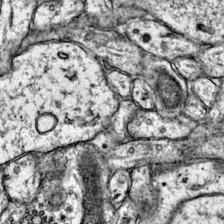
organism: Mouse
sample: Primary visual cortex